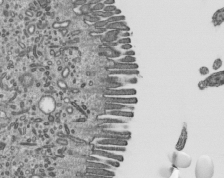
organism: Mouse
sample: Mouse epididymis efferent ductule cilia